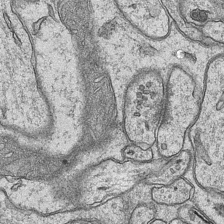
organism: Mouse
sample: CA1 Hippocampus